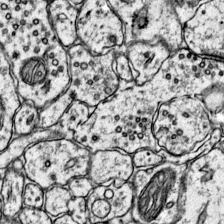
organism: Mouse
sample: Primary visual cortex